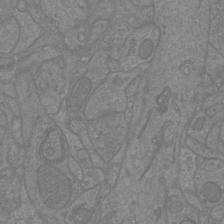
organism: Mouse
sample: Cortical neurons